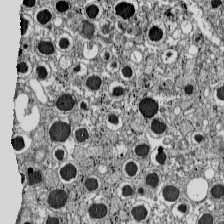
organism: C57BL Mouse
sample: Pancreatic islet